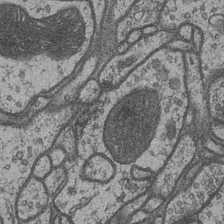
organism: Drosophila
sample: Optic medulla